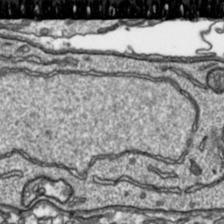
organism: Toxoplasma gondii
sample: Parasites in a vacuole inside a host cell